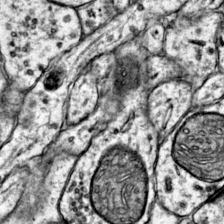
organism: Mouse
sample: Primary visual cortex